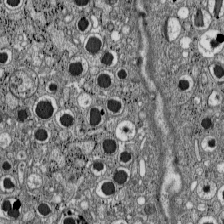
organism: C57BL Mouse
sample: Pancreatic islet